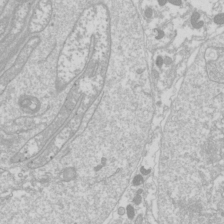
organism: Drosophila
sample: Cell division; meiosis; drosophila spermatocytes